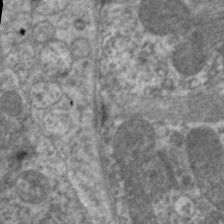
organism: C. elegans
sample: Pharynx